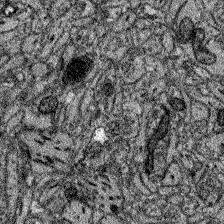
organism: Zebrafish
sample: Larval olfactory bulb